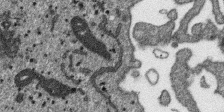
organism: Human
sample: Lung epithelial cells infected with SARS-CoV-2